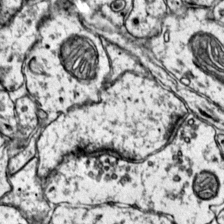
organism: Mouse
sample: Primary visual cortex